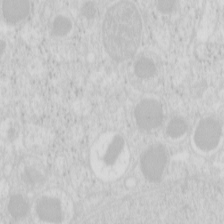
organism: Mouse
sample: Pancreas